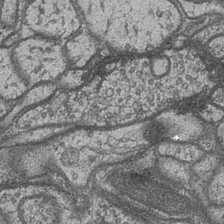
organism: Drosophila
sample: Optic medulla